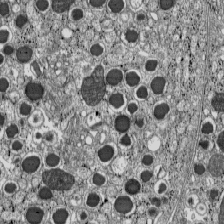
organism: C57BL Mouse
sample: Pancreatic islet